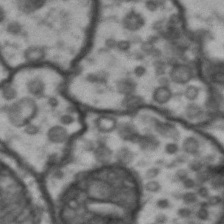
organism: Drosophila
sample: Brain